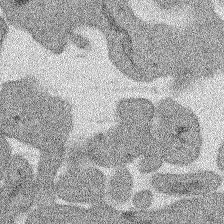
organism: Human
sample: HeLa cells